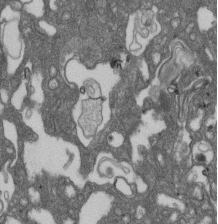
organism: Drosophila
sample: Nephrocyte